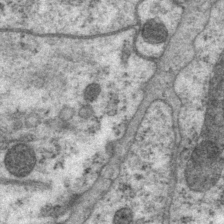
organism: P. pacificus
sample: Pharynx